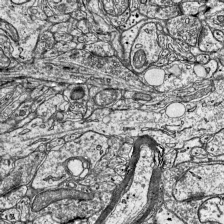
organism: Mouse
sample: Visual Cortex